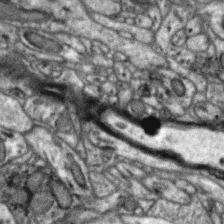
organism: Zebra finch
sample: Brain